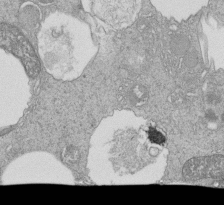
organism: Tetrahymena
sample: Cilia in tetrahymena